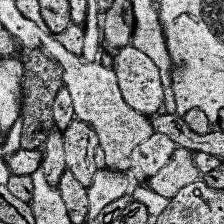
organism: Human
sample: Temporal Lobe